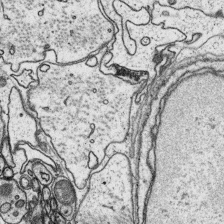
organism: Platynereis dumerilii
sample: Parapodia